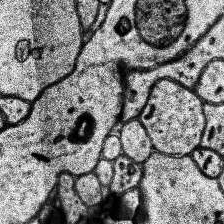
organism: Human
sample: Temporal Lobe